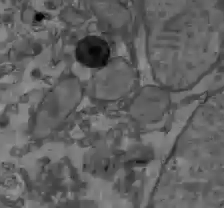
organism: C57BL Mouse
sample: Liver